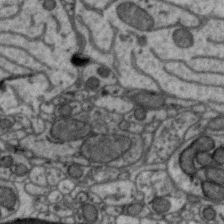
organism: Zebra finch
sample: Brain